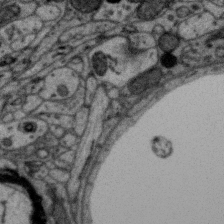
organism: Zebra finch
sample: Brain